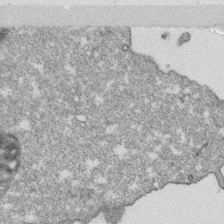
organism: African green monkey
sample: Vero E6 cells infected with SARS-CoV-2